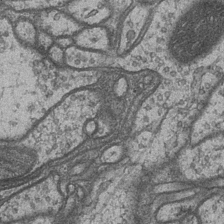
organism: Drosophila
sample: Optic medulla